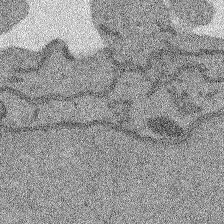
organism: Human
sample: HeLa cells